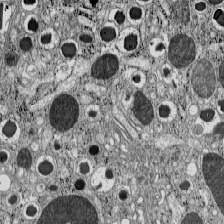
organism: C57BL Mouse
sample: Pancreatic islet